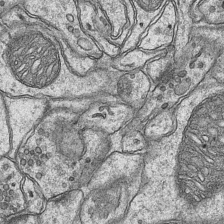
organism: Mouse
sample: CA1 Hippocampus